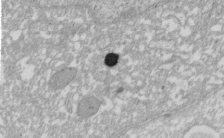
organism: Xenopus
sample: Cilia; centrioles in frog embryo cells